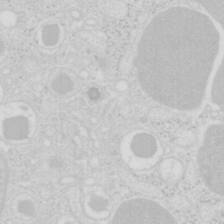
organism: Mouse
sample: Pancreas